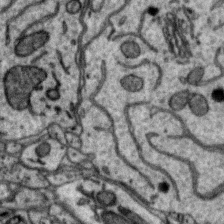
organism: Zebra finch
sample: Brain